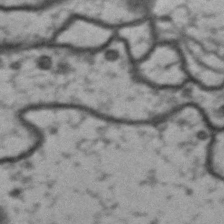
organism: Drosophila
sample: Brain